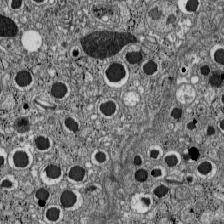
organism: C57BL Mouse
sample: Pancreatic islet